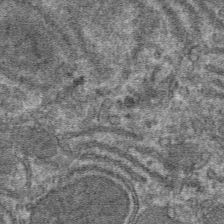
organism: Mouse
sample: Mouse hepatocytes